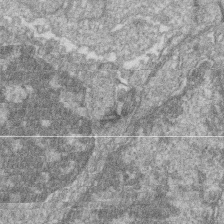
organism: Zebrafish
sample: Cilia; retinal pigment epithelium